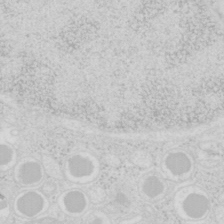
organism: Mouse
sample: Pancreas